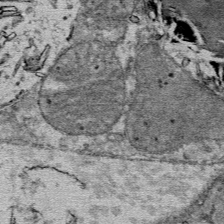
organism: Mouse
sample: Mouse Salivary gland